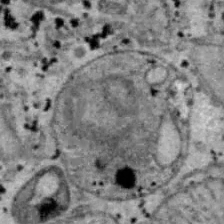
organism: Mouse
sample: Liver from an obese (ob/ob) mouse